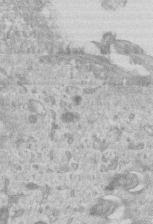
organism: Mouse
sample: Centriole in ependymal cells